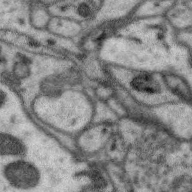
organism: Zebra finch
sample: Brain